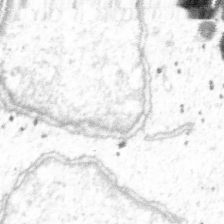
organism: Human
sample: HeLa cells